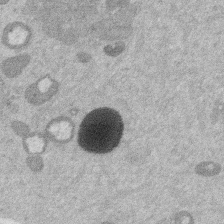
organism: Mouse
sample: Dividing mouse embryo 1 cell stage